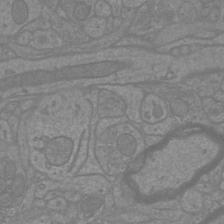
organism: Mouse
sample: Cortical neurons